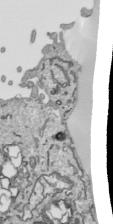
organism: Human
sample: Mitochondria in HCT116 cells